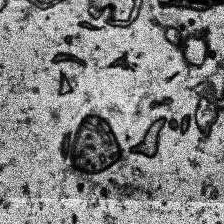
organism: Human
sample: Temporal Lobe